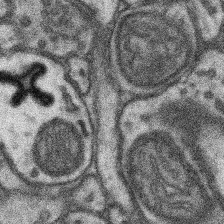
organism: Mouse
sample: Somatosensory cortex neuropil